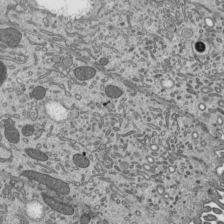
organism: Mouse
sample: Mouse epididymis efferent ductule cilia